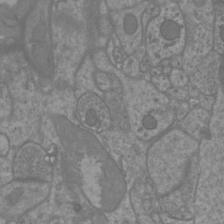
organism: Mouse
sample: Cortical neurons